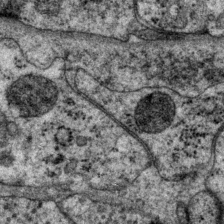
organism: P. pacificus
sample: Pharynx